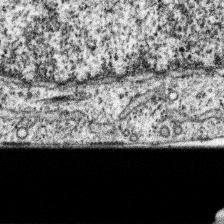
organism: Human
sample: HeLa cells